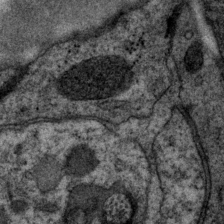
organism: P. pacificus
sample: Pharynx